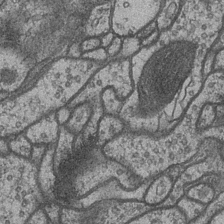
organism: Drosophila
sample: Optic medulla